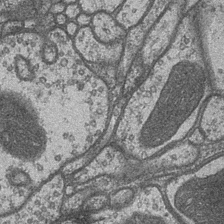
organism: Drosophila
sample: Optic medulla